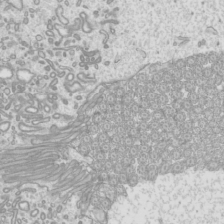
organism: Mouse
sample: Cilia; mouse epididymis